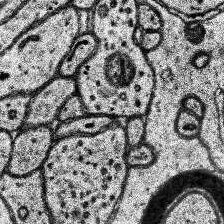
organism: Human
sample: Temporal Lobe